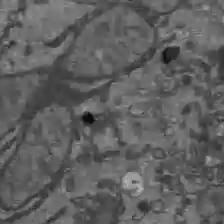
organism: C57BL Mouse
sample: Liver